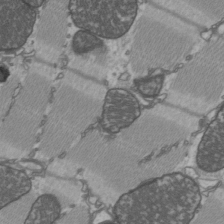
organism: C57BL Mouse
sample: Heart